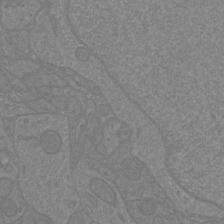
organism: Mouse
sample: Cortical neurons